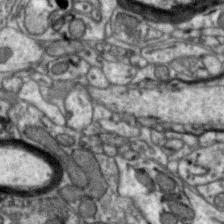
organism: Zebra finch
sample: Brain